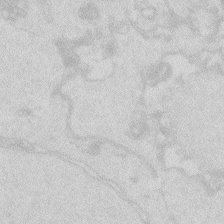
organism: Zebrafish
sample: Macrophage